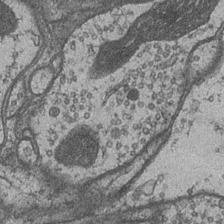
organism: Drosophila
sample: Optic medulla